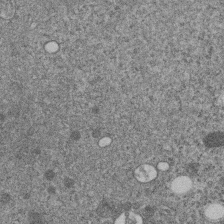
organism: C. elegans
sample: C. elegans embryo early stage